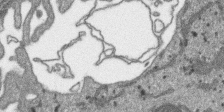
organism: Human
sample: Lung epithelial cells infected with SARS-CoV-2